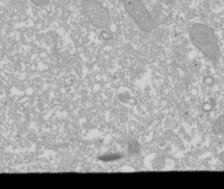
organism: Xenopus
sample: Cilia; centrioles in frog embryo cells